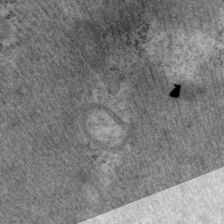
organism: P. pacificus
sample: Pharynx